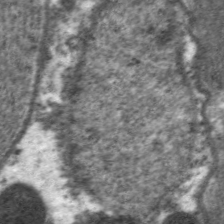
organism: C. elegans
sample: Pharynx